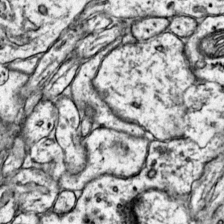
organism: Mouse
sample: Primary visual cortex